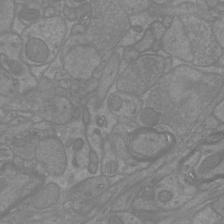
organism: Mouse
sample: Cortical neurons